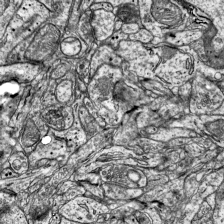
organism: Mouse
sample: Visual Cortex